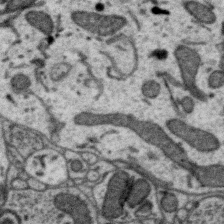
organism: Zebra finch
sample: Brain